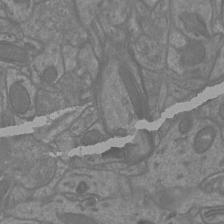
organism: Mouse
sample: Cortical neurons